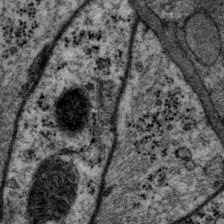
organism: P. pacificus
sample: Pharynx